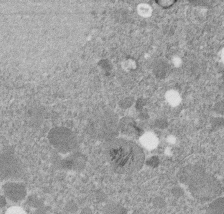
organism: C. elegans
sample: C. elegans embryo early stage